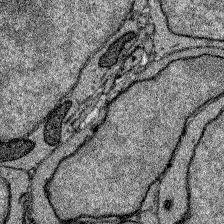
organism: Zebrafish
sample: Larval olfactory bulb